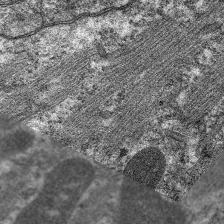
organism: C. elegans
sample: Pharynx